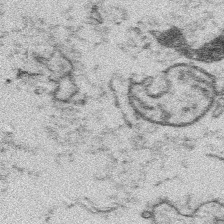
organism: Platynereis dumerilii